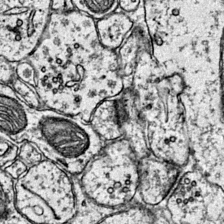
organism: Mouse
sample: Primary visual cortex